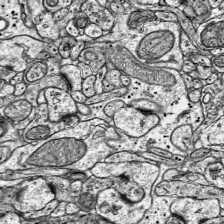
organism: Mouse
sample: Visual Cortex